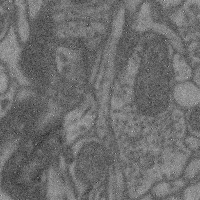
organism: Mouse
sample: Cerebral cortex